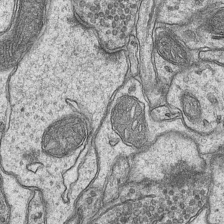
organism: Mouse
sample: CA1 Hippocampus